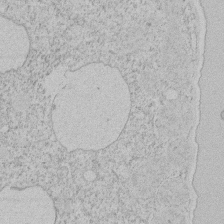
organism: Tetrahymena